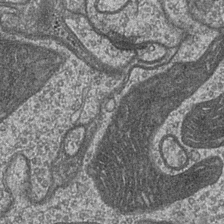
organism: Drosophila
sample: Optic medulla